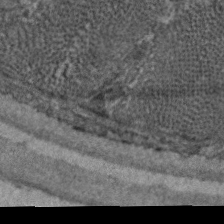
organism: C. elegans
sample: Pharynx